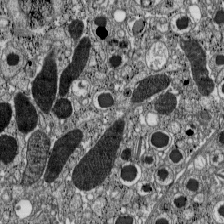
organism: C57BL Mouse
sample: Pancreatic islet